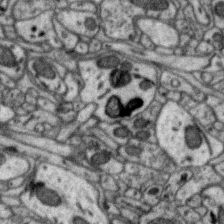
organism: Zebra finch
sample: Brain